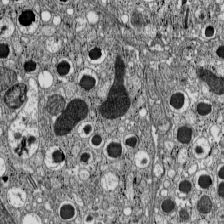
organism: C57BL Mouse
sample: Pancreatic islet